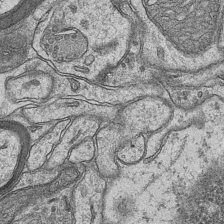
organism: Mouse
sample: CA1 Hippocampus